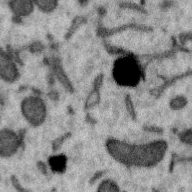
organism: Zebra finch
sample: Brain